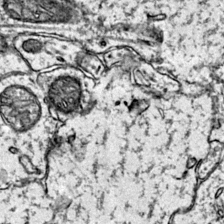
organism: Mouse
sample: Primary visual cortex